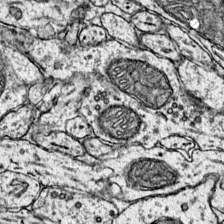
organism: Mouse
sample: Primary visual cortex